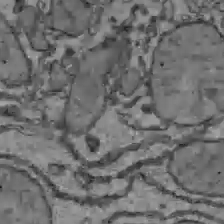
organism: C57BL Mouse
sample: Liver